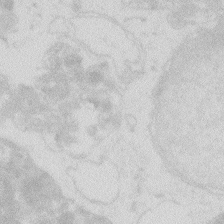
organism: Zebrafish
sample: Macrophage